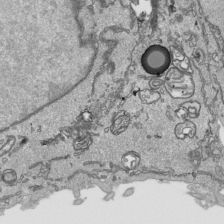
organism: Human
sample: Mitochondria in HCT116 cells